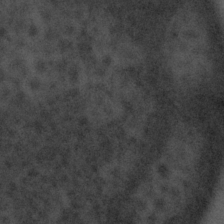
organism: Tuwongella immobilis